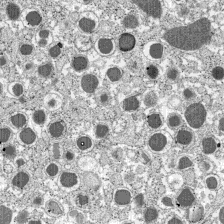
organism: C57BL Mouse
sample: Pancreatic islet